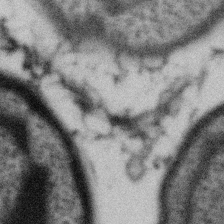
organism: Gemmata obscuriglobus